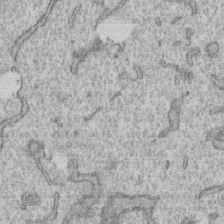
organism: Human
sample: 1205lu cells